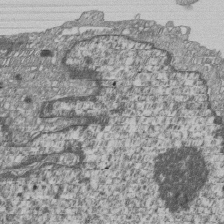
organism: Human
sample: MDA-MB-231 cells